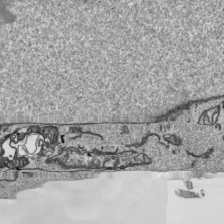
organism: Human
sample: Mitochondria in HCT116 cells